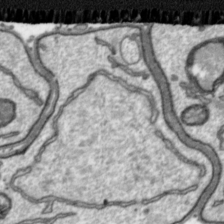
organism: Toxoplasma gondii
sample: Parasites in a vacuole inside a host cell